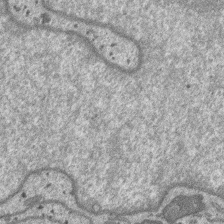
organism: Human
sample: Lung epithelial cells infected with SARS-CoV-2